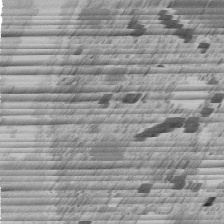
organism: C. elegans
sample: C. elegans embryo early stage